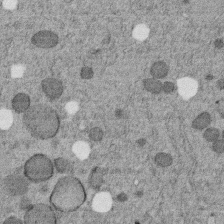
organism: C. elegans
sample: C. elegans embryo early stage